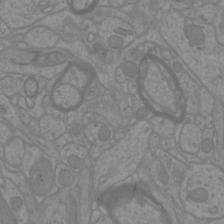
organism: Mouse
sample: Cortical neurons